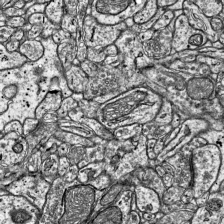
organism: Mouse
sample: Visual Cortex